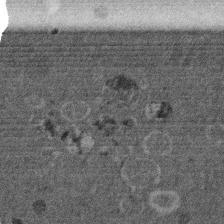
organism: Mouse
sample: Dividing mouse embryo 1 cell stage